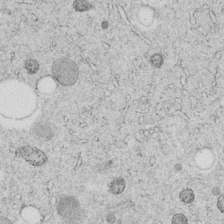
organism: C. elegans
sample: C. elegans embryo early stage